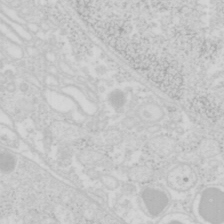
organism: Mouse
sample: Pancreas